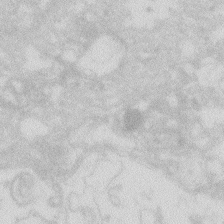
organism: Zebrafish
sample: Macrophage